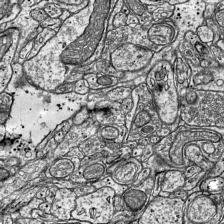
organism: Mouse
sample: Visual Cortex